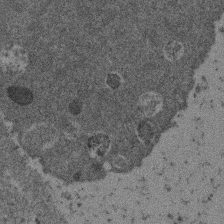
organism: Mouse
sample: Dividing mouse embryo 1 cell stage